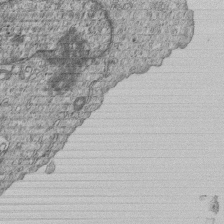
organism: Human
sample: MDA-MB-231 cells